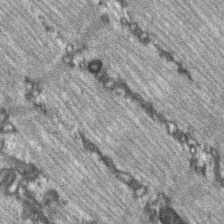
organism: C57BL Mouse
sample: Soleus